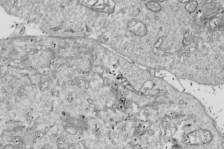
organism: Drosophila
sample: Cell division; meiosis; drosophila spermatocytes